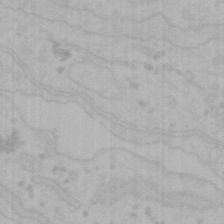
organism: Mouse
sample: Choroid plexus